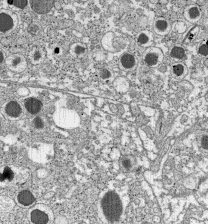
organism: C57BL Mouse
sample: Pancreatic islet